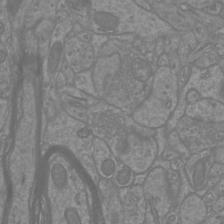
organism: Mouse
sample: Cortical neurons